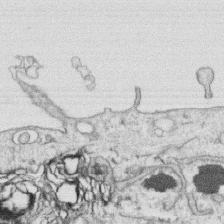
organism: Human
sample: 1205lu cells